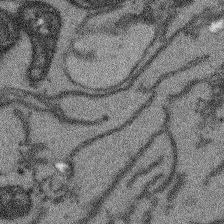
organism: Arabidopsis thaliana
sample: Root tip